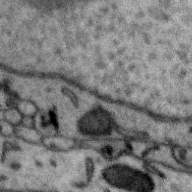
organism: Zebra finch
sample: Brain